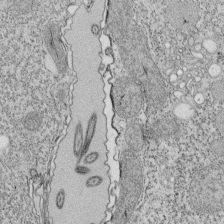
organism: Tetrahymena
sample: Cilia in tetrahymena